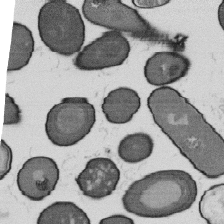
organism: B. subtilis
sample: Bacterial spore